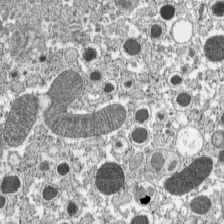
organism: C57BL Mouse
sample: Pancreatic islet